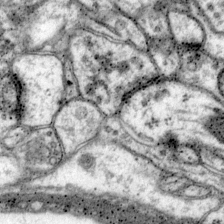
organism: Mouse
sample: Primary visual cortex